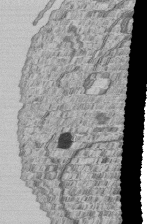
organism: Human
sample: MDA-MB-231 cells